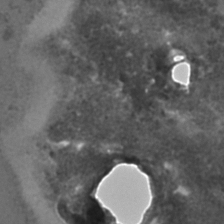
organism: C. elegans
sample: C. elegans embryo